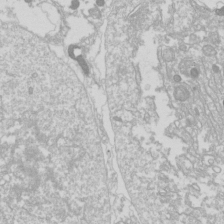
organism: Drosophila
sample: Cell division; meiosis; drosophila spermatocytes